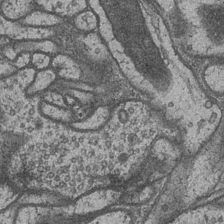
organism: Drosophila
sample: Optic medulla